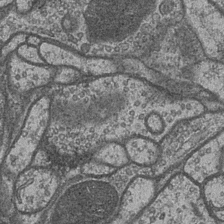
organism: Drosophila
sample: Optic medulla